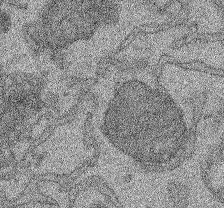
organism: Human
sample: HeLa cells